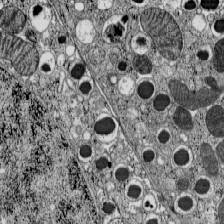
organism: C57BL Mouse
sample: Pancreatic islet